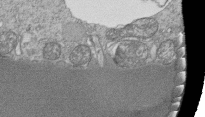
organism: Tetrahymena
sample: Cilia in tetrahymena